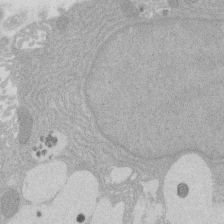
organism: Rat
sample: Salivary granule